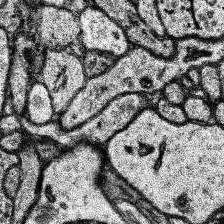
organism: Human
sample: Temporal Lobe